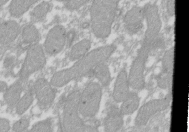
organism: Xenopus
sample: Cilia; centrioles in frog embryo cells